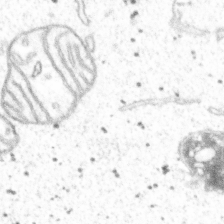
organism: Human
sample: HeLa cells